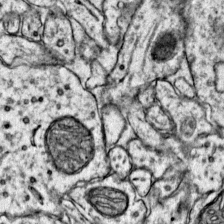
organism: Mouse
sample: Primary visual cortex